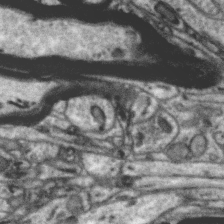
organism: Zebra finch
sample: Brain